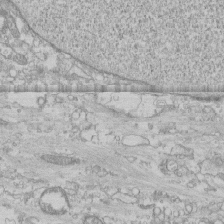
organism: Human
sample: CRL-1474